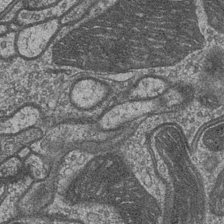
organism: Drosophila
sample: Optic medulla